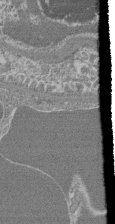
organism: Mouse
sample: Glomerulus